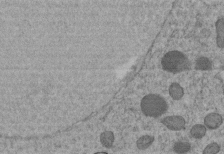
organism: C. elegans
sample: C. elegans embryo early stage